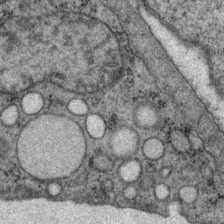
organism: P. pacificus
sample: Pharynx